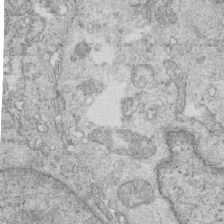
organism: Mouse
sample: Multiciliated cells